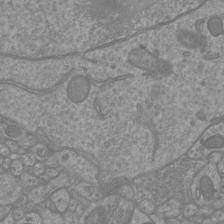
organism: Mouse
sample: Cortical neurons